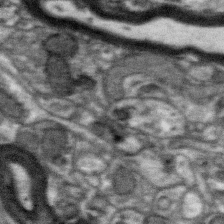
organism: Zebra finch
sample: Brain